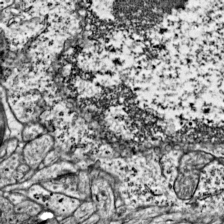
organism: Mouse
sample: Visual Cortex